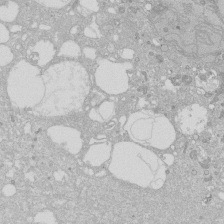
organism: Human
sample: Caco-2 cells